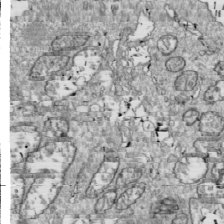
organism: Drosophila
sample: Cell division; meiosis; drosophila spermatocytes